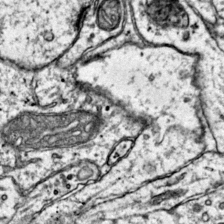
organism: Mouse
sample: Primary visual cortex